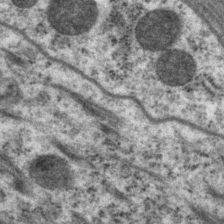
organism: P. pacificus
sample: Pharynx